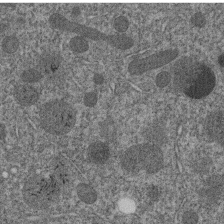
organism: C. elegans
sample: C. elegans embryo early stage